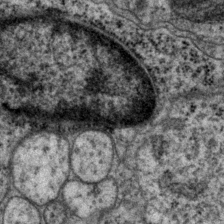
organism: P. pacificus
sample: Pharynx